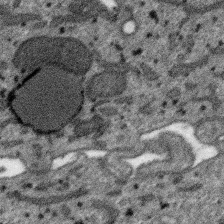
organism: Human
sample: Lung epithelial cells infected with SARS-CoV-2